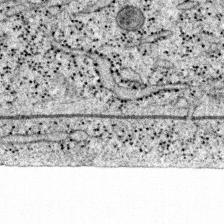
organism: Human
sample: HeLa cells